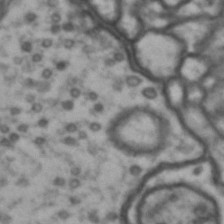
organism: Drosophila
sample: Brain